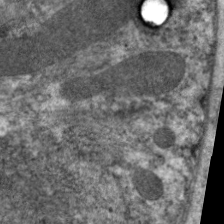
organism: C. elegans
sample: Pharynx